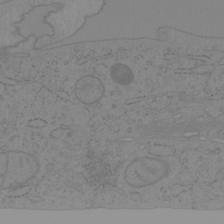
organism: Human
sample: HeLa cells